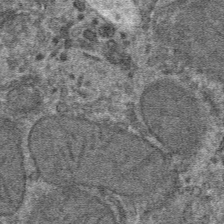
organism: Mouse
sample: Mouse hepatocytes